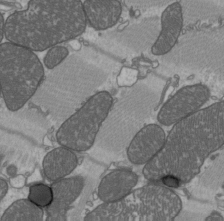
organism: C57BL Mouse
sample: Heart